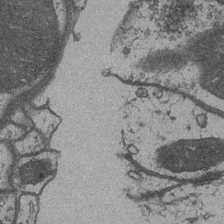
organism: Drosophila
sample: Optic medulla